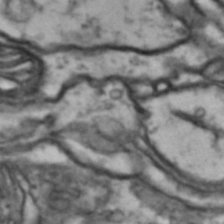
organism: Drosophila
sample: Brain